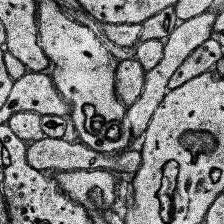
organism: Human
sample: Temporal Lobe